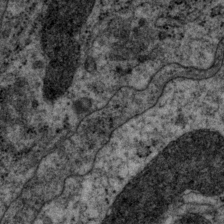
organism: P. pacificus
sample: Pharynx